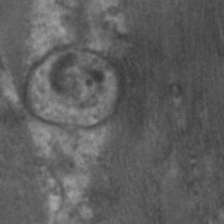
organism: C. elegans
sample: Pharynx